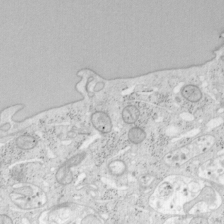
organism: Mouse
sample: OT-I killer T cells with ID8 ovarian cancer cells